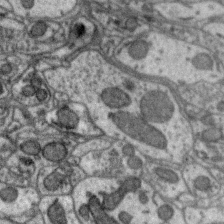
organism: Zebra finch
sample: Brain